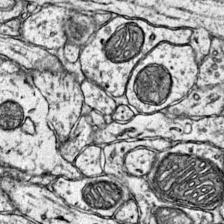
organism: Mouse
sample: Primary visual cortex